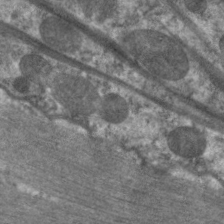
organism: C. elegans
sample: Pharynx